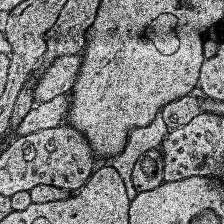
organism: Human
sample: Temporal Lobe